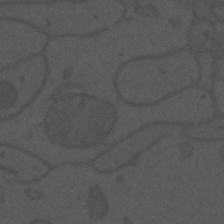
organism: Mouse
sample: Suprachiasmatic nucleus